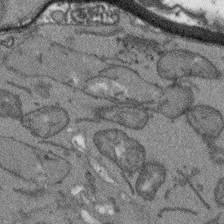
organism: Arabidopsis thaliana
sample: Root tip